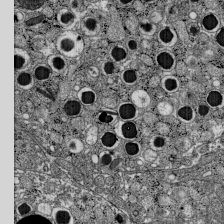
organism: C57BL Mouse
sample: Pancreatic islet